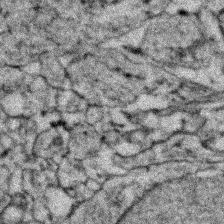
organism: Zebrafish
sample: Zebrafish embryo